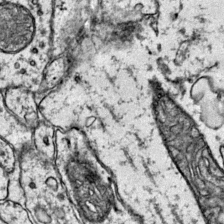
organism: Mouse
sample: Primary visual cortex